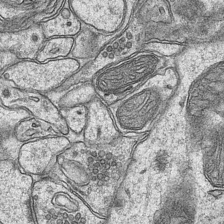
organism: Mouse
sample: CA1 Hippocampus